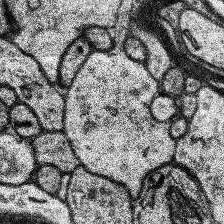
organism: Human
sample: Temporal Lobe